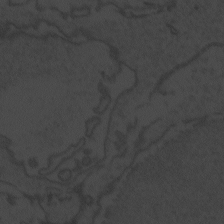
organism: Zebrafish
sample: Macrophage infected with Toxoplasma gondii